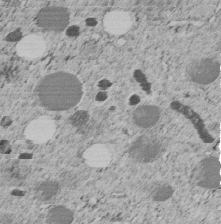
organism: C. elegans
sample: C. elegans embryo early stage